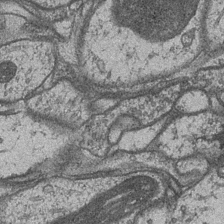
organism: Drosophila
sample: Optic medulla